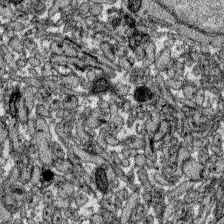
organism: Zebrafish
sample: Larval olfactory bulb